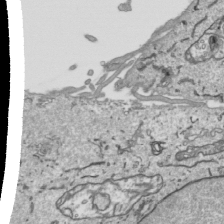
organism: Human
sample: Mitochondria in HCT116 cells